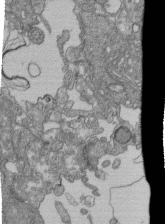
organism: Human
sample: Retinal organoid Rod and Cone cells